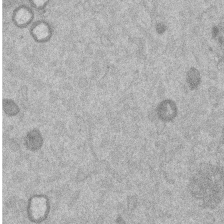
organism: Mouse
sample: Dividing mouse embryo 1 cell stage